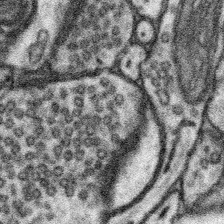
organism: Mouse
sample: Somatosensory cortex neuropil